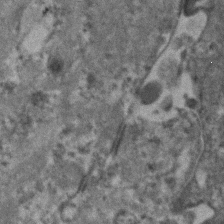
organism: Human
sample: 1205lu cells